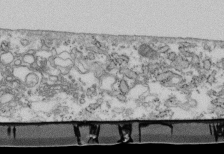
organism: Mouse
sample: Cilia; retinal pigment epithelium